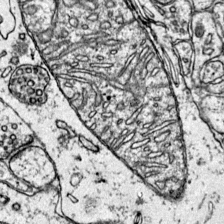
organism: Mouse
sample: Primary visual cortex